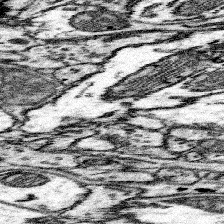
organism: Mouse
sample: Somatosensory cortex neuropil